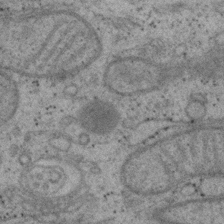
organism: Human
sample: HeLa cells